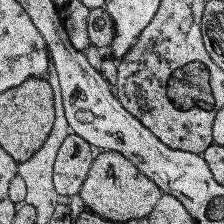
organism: Human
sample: Temporal Lobe